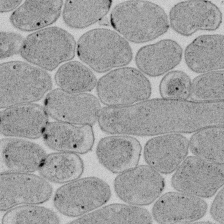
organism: E. coli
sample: Bacterial nucleoid